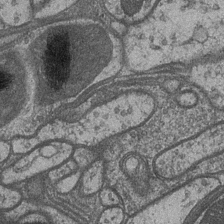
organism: Drosophila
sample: Optic medulla